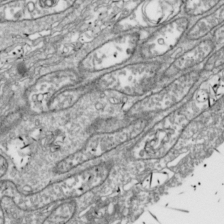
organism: Drosophila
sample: Cell division; meiosis; drosophila spermatocytes